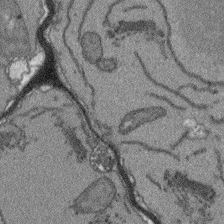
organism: Arabidopsis thaliana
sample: Root tip